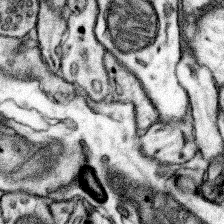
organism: Mouse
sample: Somatosensory cortex neuropil